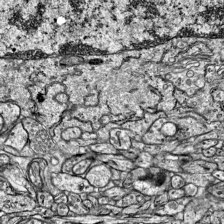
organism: Mouse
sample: Visual Cortex